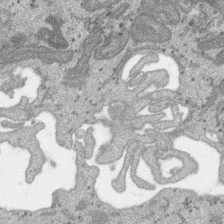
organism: Human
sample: Lung epithelial cells infected with SARS-CoV-2